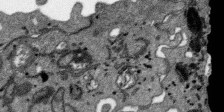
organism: Human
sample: Lung epithelial cells, uninfected (mock) control